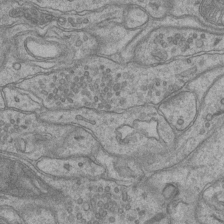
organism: Mouse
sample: CA1 Hippocampus